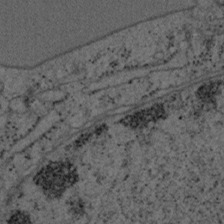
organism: Human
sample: HeLa cells